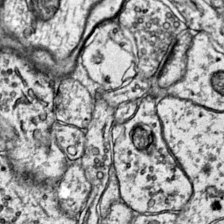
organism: Mouse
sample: Primary visual cortex